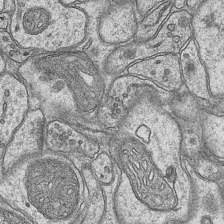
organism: Mouse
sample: CA1 Hippocampus